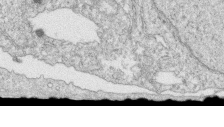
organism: Human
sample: HeLa cell HIV synapse